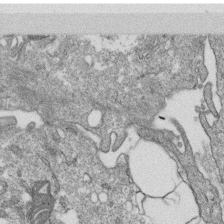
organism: African green monkey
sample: Vero E6 cells infected with SARS-CoV-2